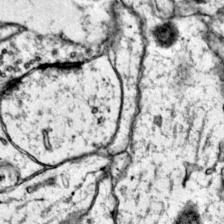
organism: Mouse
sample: Primary visual cortex